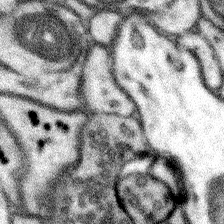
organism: Mouse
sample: Somatosensory cortex neuropil